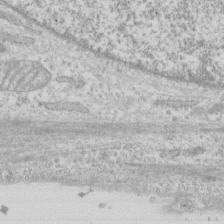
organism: Human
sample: CRL-1474